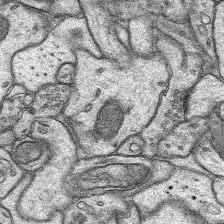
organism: Rat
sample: Hippocampus